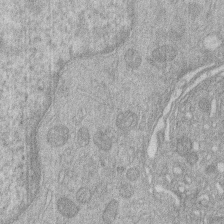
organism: Human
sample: Macrophage cells